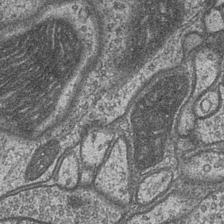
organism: Drosophila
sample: Optic medulla